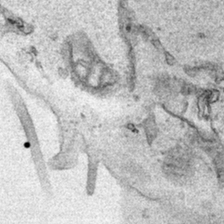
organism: Human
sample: Mitochondria in HCT116 cells